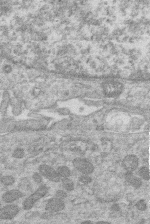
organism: Human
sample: Macrophage cells